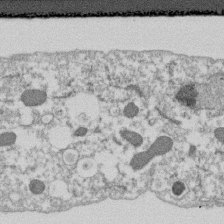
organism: Dictyostelium discoideum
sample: Dictyostelium multivesicular bodies